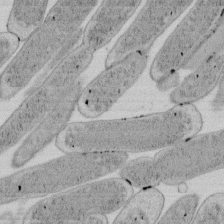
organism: E. coli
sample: Bacterial nucleoid